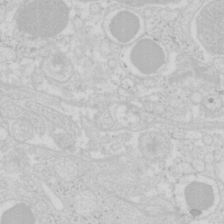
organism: Mouse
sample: Pancreas